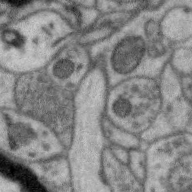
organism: Zebra finch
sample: Brain